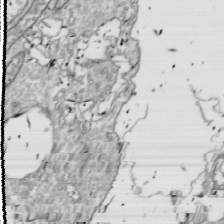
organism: Drosophila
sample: Cell division; meiosis; drosophila spermatocytes